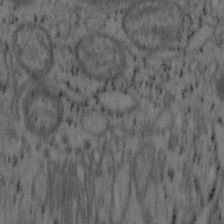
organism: Human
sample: HeLa cells